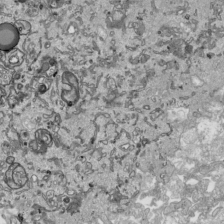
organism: Human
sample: Mitochondria in HCT116 cells